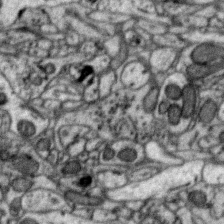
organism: Zebra finch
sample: Brain